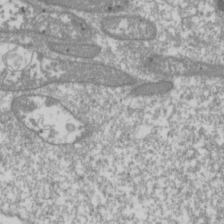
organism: Drosophila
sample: Cell division; meiosis; drosophila spermatocytes